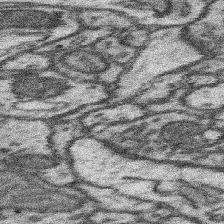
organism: Mouse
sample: Somatosensory cortex neuropil